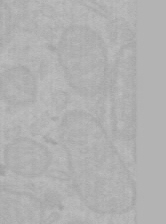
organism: Mouse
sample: Choroid plexus